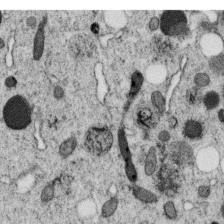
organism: C. elegans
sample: C. elegans oocyte; sperm cells